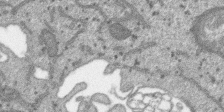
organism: Human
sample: Lung epithelial cells infected with SARS-CoV-2